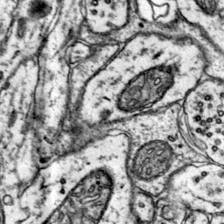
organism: Mouse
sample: Primary visual cortex